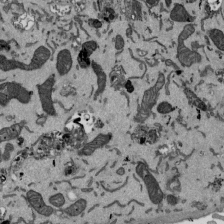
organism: Mouse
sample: ED-1 cell nuclei; centrioles